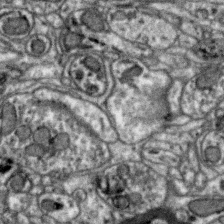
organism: Zebra finch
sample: Brain